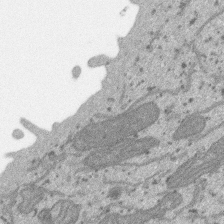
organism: Human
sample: Lung epithelial cells infected with SARS-CoV-2